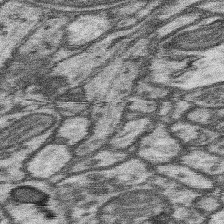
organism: Mouse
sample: Somatosensory cortex neuropil